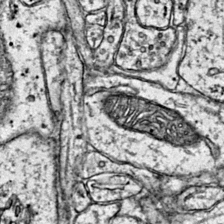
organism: Mouse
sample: Primary visual cortex